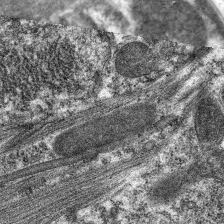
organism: C. elegans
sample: Pharynx